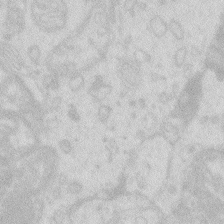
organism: Zebrafish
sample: Macrophage